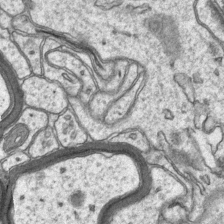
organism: Mouse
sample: CA1 Hippocampus